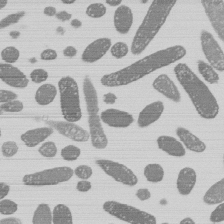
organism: E. coli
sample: Bacterial nucleoid